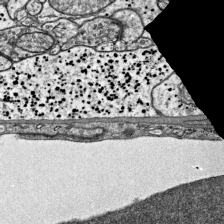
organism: Mouse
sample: Visual Cortex